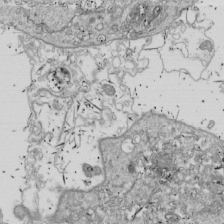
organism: Drosophila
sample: Cell division; meiosis; drosophila spermatocytes